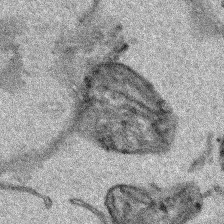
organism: Human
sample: Mitochondria in HCT116 cells